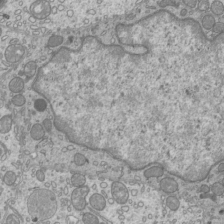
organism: Mouse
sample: Cilia; mouse epididymis